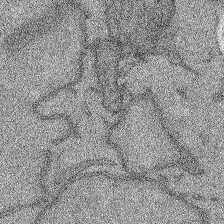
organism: Human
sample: HeLa cells